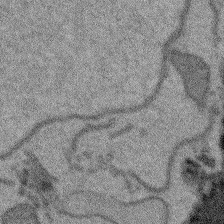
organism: Arabidopsis thaliana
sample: Root tip